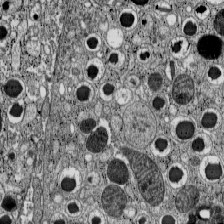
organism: C57BL Mouse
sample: Pancreatic islet